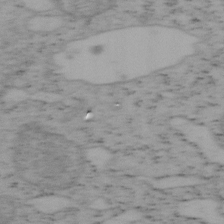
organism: Mouse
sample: OT-I killer T cells with ID8 ovarian cancer cells